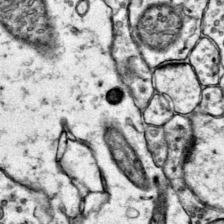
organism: Mouse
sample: Primary visual cortex